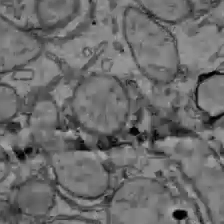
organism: C57BL Mouse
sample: Liver